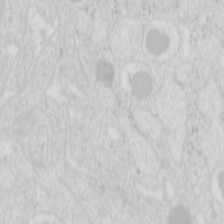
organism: Mouse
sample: Pancreas